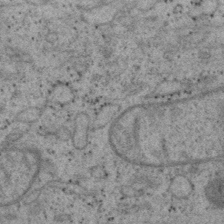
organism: Human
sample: HeLa cells